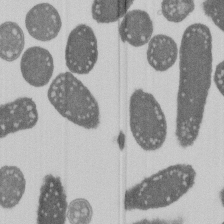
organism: E. coli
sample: Bacterial nucleoid